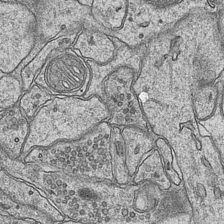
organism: Mouse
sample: CA1 Hippocampus